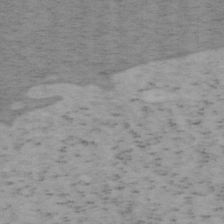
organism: Mouse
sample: OT-I killer T cells with ID8 ovarian cancer cells